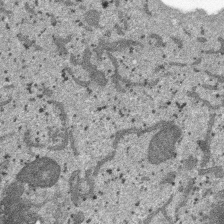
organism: Human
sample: Lung epithelial cells infected with SARS-CoV-2